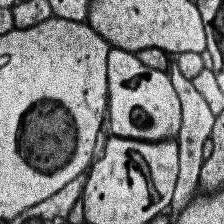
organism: Human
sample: Temporal Lobe